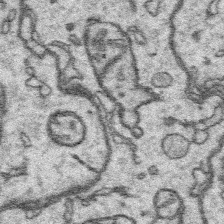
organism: Platynereis dumerilii